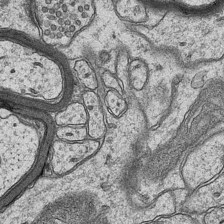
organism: Mouse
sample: CA1 Hippocampus